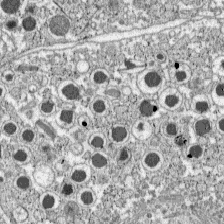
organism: C57BL Mouse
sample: Pancreatic islet